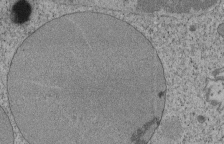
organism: Tetrahymena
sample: Cilia in tetrahymena